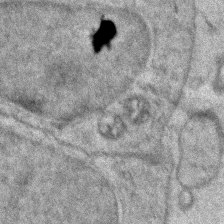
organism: Zebrafish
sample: Zebrafish embryo